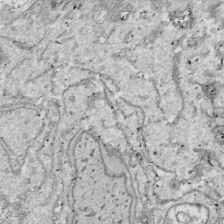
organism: Drosophila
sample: Cell division; meiosis; drosophila spermatocytes